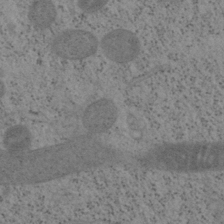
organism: Mouse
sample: OT-I killer T cells with ID8 ovarian cancer cells